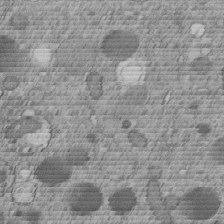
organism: C. elegans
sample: C. elegans embryo early stage